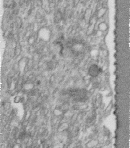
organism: Human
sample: Centriole in fibroblast cells